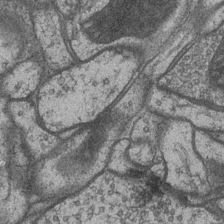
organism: Drosophila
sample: Optic medulla